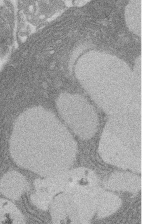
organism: Rat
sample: Salivary granule